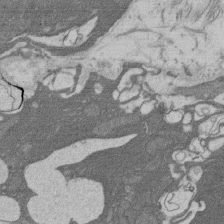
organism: Rat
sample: Salivary granule